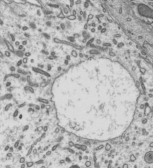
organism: Mouse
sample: Mouse epididymis efferent ductule cilia